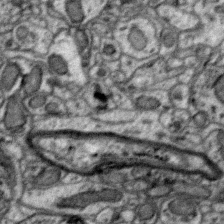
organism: Zebra finch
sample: Brain